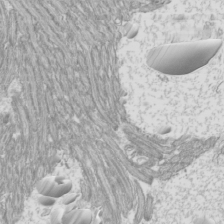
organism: Mouse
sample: Cilia; mouse epididymis